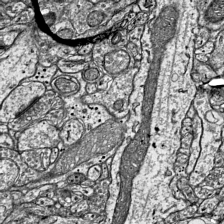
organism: Mouse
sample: Visual Cortex